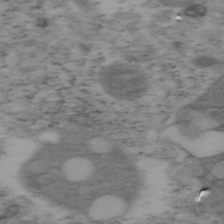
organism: Mouse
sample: OT-I killer T cells with ID8 ovarian cancer cells